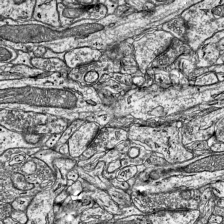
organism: Mouse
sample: Visual Cortex